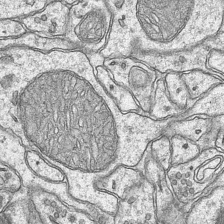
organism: Mouse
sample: CA1 Hippocampus